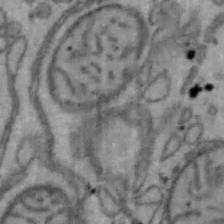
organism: Mouse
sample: Liver